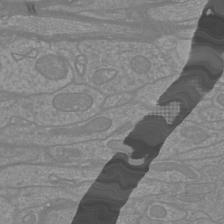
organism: Mouse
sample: Cortical neurons